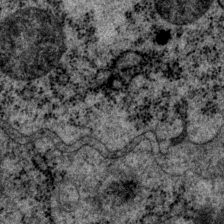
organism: P. pacificus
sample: Pharynx